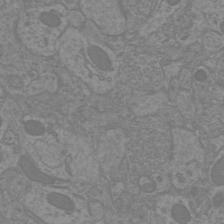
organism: Mouse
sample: Cortical neurons